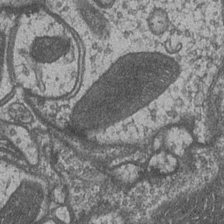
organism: Drosophila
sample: Optic medulla